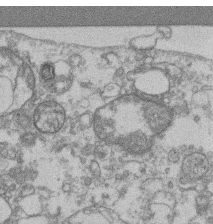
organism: Mouse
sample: T cell stromal cell synapse